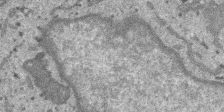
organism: Human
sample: Lung epithelial cells infected with SARS-CoV-2